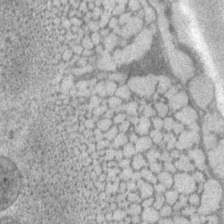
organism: P. pacificus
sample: Pharynx